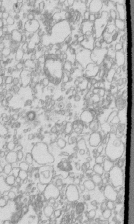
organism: Mouse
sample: Macrophages